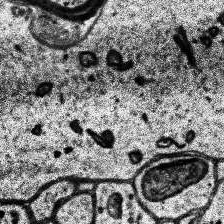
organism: Human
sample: Temporal Lobe